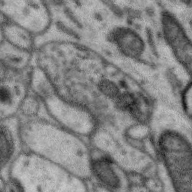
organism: Zebra finch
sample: Brain